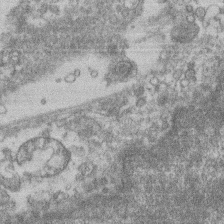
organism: Mouse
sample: T cell stromal cell synapse